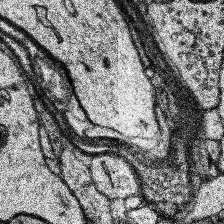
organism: Human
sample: Temporal Lobe